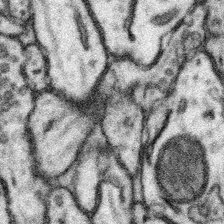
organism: Mouse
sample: Somatosensory cortex neuropil